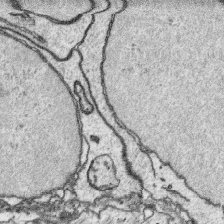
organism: Platynereis dumerilii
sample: Parapodia